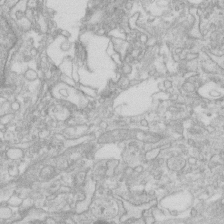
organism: Human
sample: Fibroblast cells